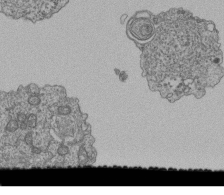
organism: Human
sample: Retinal organoid Rod and Cone cells